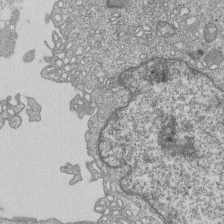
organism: Human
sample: MDA-MB-231 cells